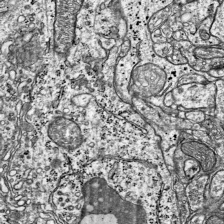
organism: Mouse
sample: Visual Cortex